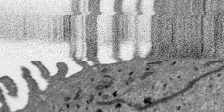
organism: Human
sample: Lung epithelial cells, uninfected (mock) control